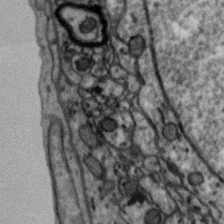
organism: Zebra finch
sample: Brain